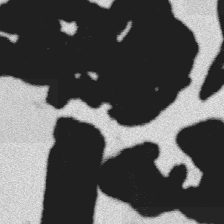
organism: Platynereis dumerilii